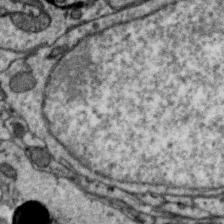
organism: Zebra finch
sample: Brain